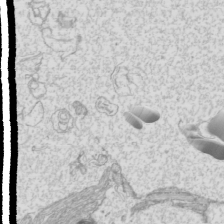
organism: Mouse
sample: Cilia; mouse epididymis